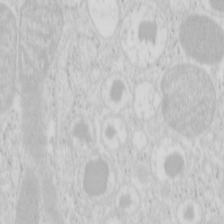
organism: Mouse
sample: Pancreas